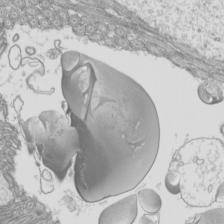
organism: Mouse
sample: Cilia; mouse epididymis